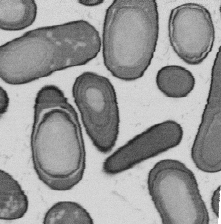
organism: B. subtilis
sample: Bacterial spore